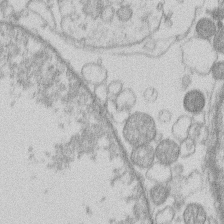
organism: Human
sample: Macrophage cells